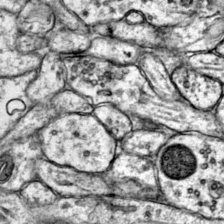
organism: Mouse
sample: Primary visual cortex